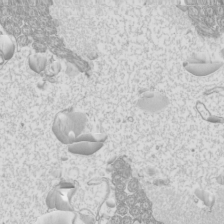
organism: Mouse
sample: Cilia; mouse epididymis